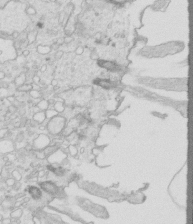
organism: Mouse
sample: Multiciliated cells